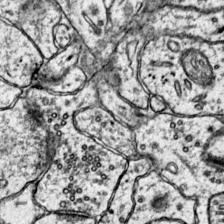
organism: Mouse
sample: Primary visual cortex